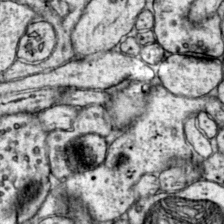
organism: Mouse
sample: Primary visual cortex